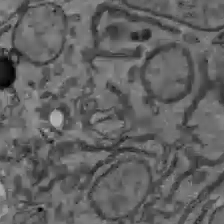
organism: C57BL Mouse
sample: Liver